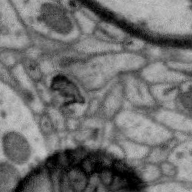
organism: Zebra finch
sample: Brain